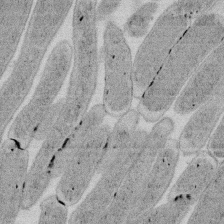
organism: E. coli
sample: Bacterial nucleoid